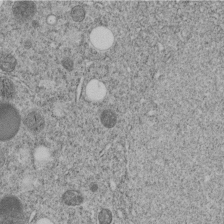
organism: C. elegans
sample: C. elegans embryo early stage